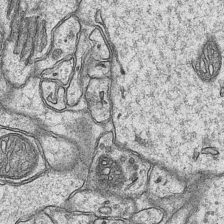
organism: Mouse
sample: CA1 Hippocampus